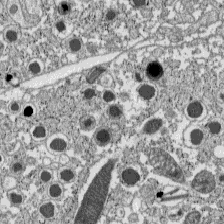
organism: C57BL Mouse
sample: Pancreatic islet